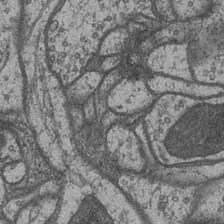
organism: Drosophila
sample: Optic medulla